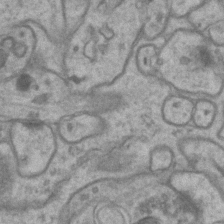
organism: Mouse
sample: CA1 Hippocampus